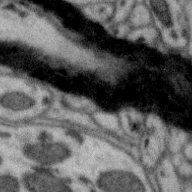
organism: Zebra finch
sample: Brain